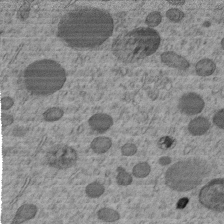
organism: C. elegans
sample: C. elegans embryo early stage